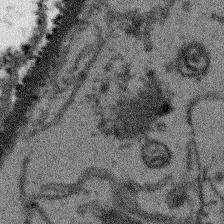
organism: Arabidopsis thaliana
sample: Root tip